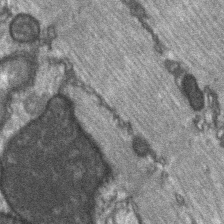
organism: C57BL Mouse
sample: Soleus